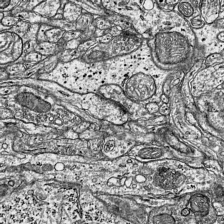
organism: Mouse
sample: Visual Cortex